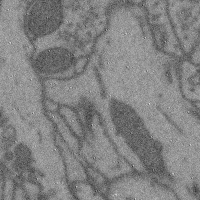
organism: Mouse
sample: Cerebral cortex